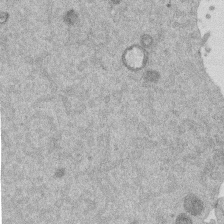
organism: Mouse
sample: Dividing mouse embryo 1 cell stage